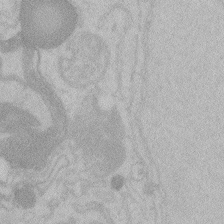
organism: Zebrafish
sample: Macrophage infected with Toxoplasma gondii